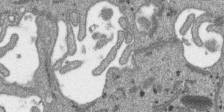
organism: Human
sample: Lung epithelial cells infected with SARS-CoV-2